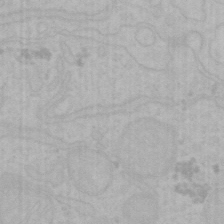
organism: Mouse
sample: Choroid plexus